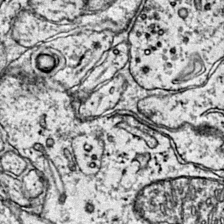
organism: Mouse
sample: Primary visual cortex